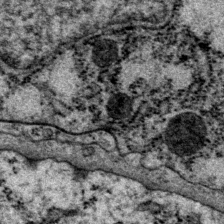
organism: P. pacificus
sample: Pharynx